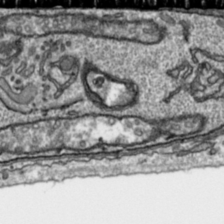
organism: Toxoplasma gondii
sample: Parasites in a vacuole inside a host cell